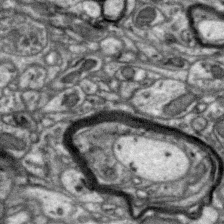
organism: Zebra finch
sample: Brain